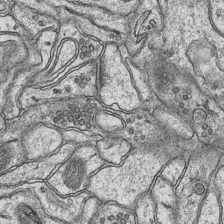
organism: Mouse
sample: CA1 Hippocampus